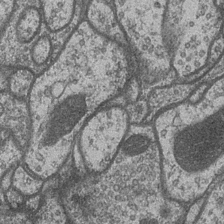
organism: Drosophila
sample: Optic medulla